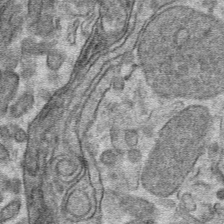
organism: Mouse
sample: Mouse hepatocytes